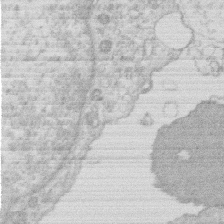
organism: Human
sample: Macrophage cells